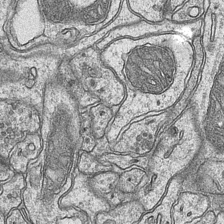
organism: Mouse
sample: CA1 Hippocampus